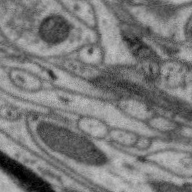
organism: Zebra finch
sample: Brain